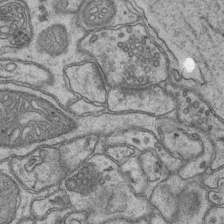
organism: Mouse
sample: CA1 Hippocampus